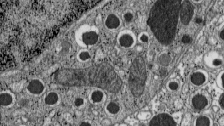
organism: C57BL Mouse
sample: Pancreatic islet